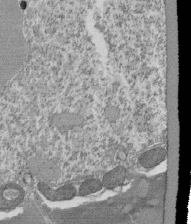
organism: Tetrahymena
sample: Cilia in tetrahymena